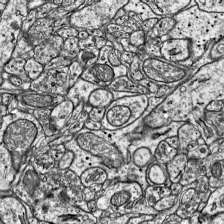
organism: Mouse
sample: Visual Cortex